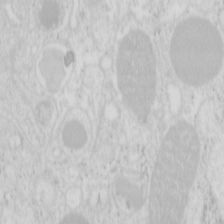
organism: Mouse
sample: Pancreas